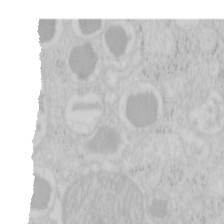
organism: Mouse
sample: Pancreas